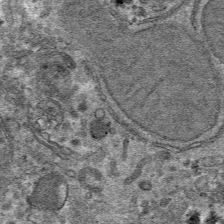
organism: Mouse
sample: Mouse hepatocytes